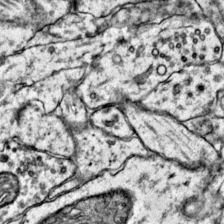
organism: Mouse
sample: Primary visual cortex